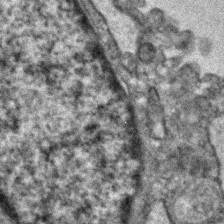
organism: Human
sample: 1205lu cells